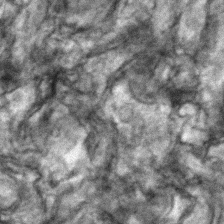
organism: Zebrafish